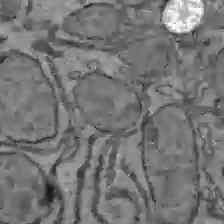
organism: C57BL Mouse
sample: Liver